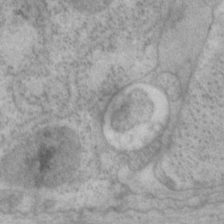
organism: P. pacificus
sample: Pharynx